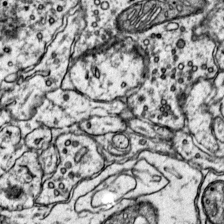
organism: Mouse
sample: Primary visual cortex